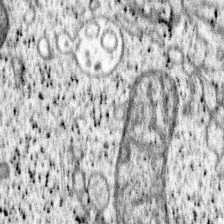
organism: Human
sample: HeLa cells